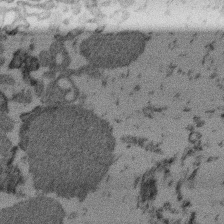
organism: Mouse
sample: Dividing mouse embryo 1 cell stage